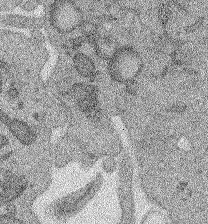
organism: Human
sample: HeLa cells